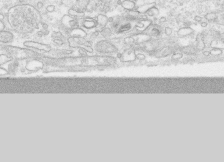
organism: Human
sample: CRL-1474